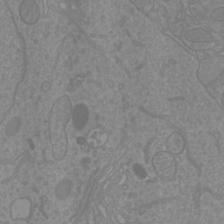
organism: Mouse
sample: Cortical neurons